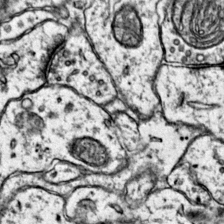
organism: Mouse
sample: Primary visual cortex